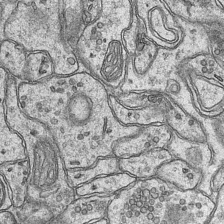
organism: Mouse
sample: CA1 Hippocampus